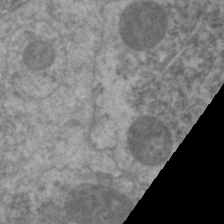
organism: C. elegans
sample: Pharynx